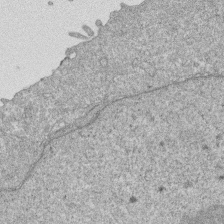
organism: Human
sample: HeLa cell HIV synapse